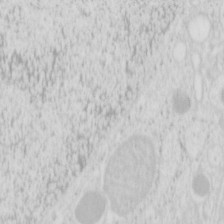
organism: Mouse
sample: Pancreas